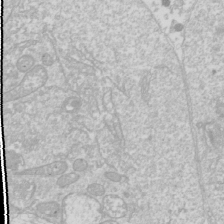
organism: Drosophila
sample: Cell division; meiosis; drosophila spermatocytes